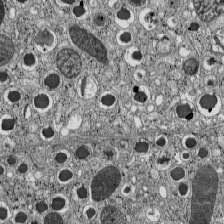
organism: C57BL Mouse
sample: Pancreatic islet